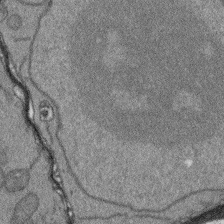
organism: Arabidopsis thaliana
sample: Root tip